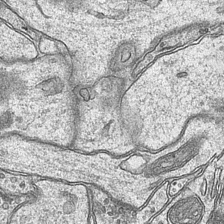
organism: Mouse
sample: CA1 Hippocampus